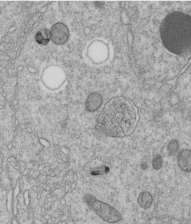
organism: C. elegans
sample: C. elegans embryo early stage